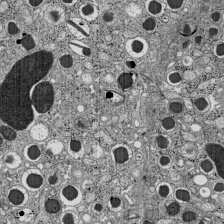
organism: C57BL Mouse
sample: Pancreatic islet